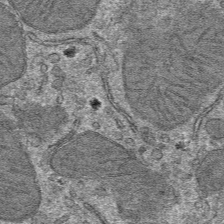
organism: Mouse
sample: Mouse hepatocytes